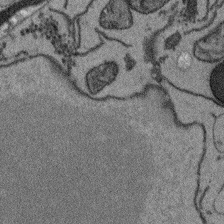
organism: Arabidopsis thaliana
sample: Root tip